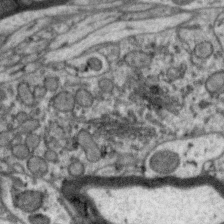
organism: Zebra finch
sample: Brain